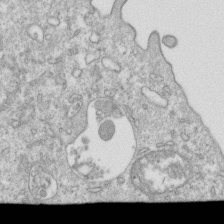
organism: Mouse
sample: Activated OT-1 CD8+ T cells